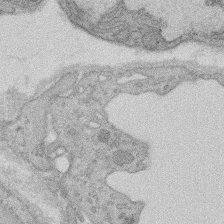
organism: Rat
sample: Salivary granule